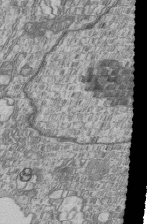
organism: Human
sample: MDA-MB-231 cells